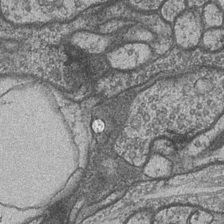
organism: Drosophila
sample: Optic medulla